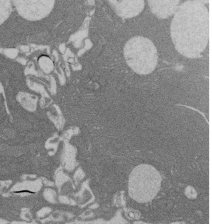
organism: Rat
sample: Salivary granule